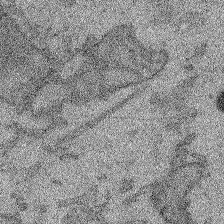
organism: Human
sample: HeLa cells